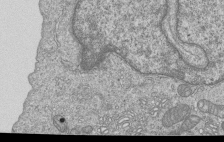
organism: Human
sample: MDA-MB-231 cells